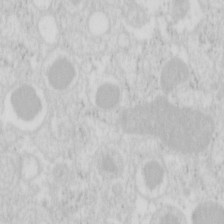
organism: Mouse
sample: Pancreas